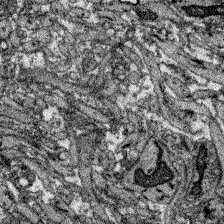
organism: Zebrafish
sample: Larval olfactory bulb